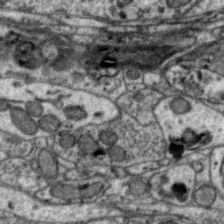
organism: Zebra finch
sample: Brain